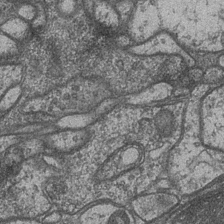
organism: Drosophila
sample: Optic medulla